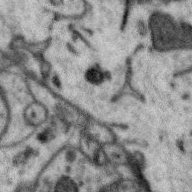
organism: Zebra finch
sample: Brain